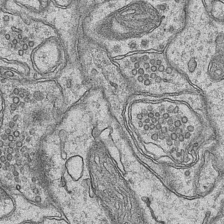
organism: Mouse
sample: CA1 Hippocampus